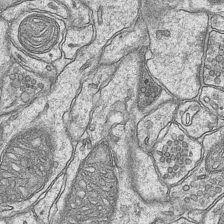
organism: Mouse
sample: CA1 Hippocampus